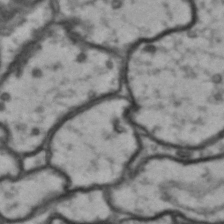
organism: Drosophila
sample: Brain